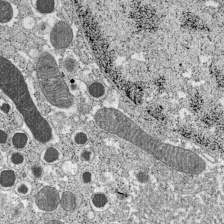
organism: C57BL Mouse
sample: Pancreatic islet